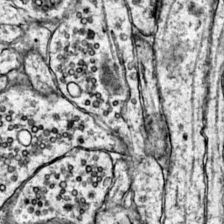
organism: Mouse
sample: Primary visual cortex